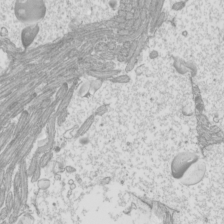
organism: Mouse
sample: Cilia; mouse epididymis